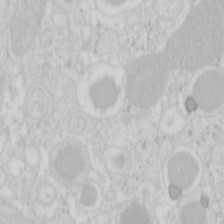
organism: Mouse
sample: Pancreas